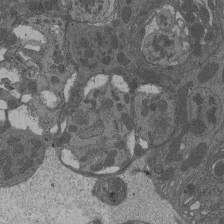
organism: Drosophila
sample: Antenna